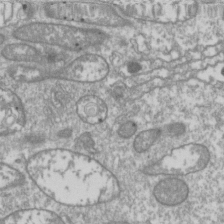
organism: Drosophila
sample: Cell division; meiosis; drosophila spermatocytes